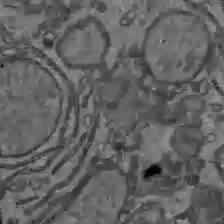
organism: C57BL Mouse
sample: Liver